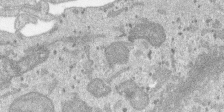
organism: Human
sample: Lung epithelial cells infected with SARS-CoV-2